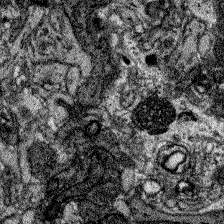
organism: Zebrafish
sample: Larval olfactory bulb